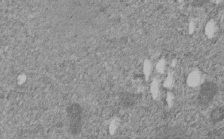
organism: C. elegans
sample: C. elegans embryo early stage